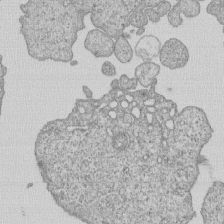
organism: Human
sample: MDA-MB-231 cells